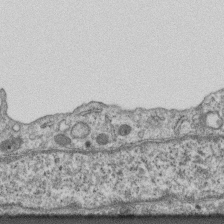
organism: Mouse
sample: Centriole in ependymal cells